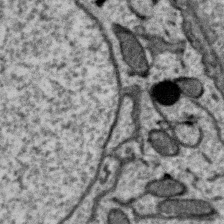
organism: Zebra finch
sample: Brain